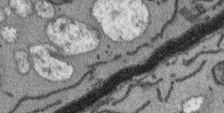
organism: Arabidopsis thaliana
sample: Root tip